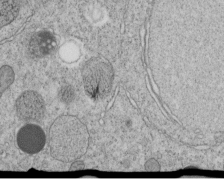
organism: C. elegans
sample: C. elegans embryo early stage